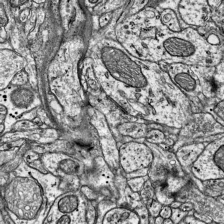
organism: Mouse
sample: Visual Cortex